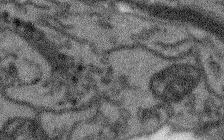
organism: Arabidopsis thaliana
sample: Root tip